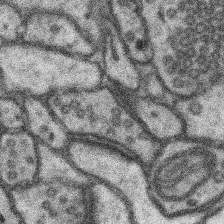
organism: Mouse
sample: Somatosensory cortex neuropil